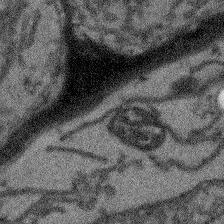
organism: Arabidopsis thaliana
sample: Root tip